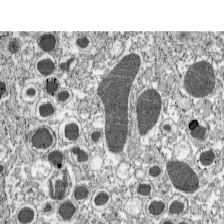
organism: C57BL Mouse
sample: Pancreatic islet